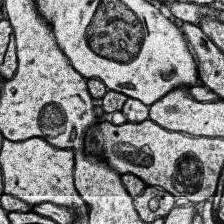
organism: Human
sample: Temporal Lobe